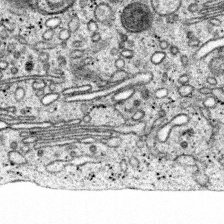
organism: Human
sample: HeLa cells